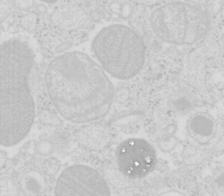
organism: Mouse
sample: Pancreas